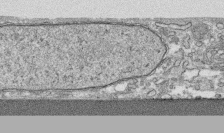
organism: Human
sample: CRL-1474